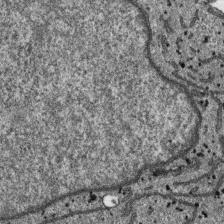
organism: Human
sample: Lung epithelial cells infected with SARS-CoV-2